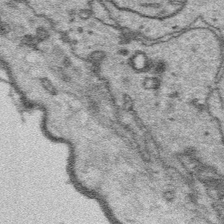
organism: Platynereis dumerilii